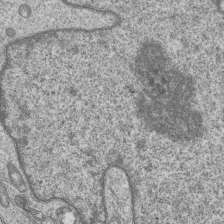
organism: Human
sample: MDA-MB-231 cells